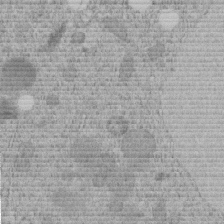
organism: C. elegans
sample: C. elegans embryo early stage